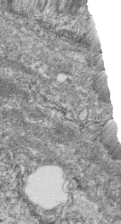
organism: Zebrafish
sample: Cilia; retinal pigment epithelium